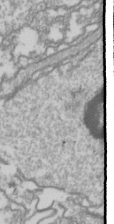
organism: Drosophila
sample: Cell division; meiosis; drosophila spermatocytes